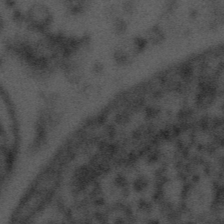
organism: Tuwongella immobilis